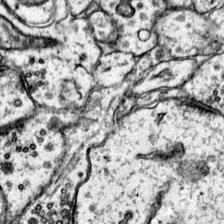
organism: Mouse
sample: Primary visual cortex